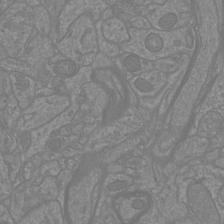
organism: Mouse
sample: Cortical neurons